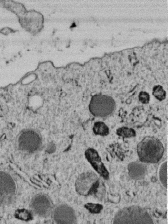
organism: C. elegans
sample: C. elegans embryo early stage